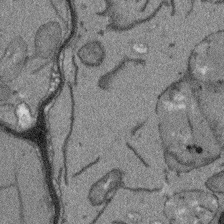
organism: Arabidopsis thaliana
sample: Root tip